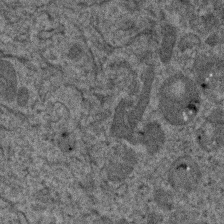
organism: Human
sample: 1205lu cells